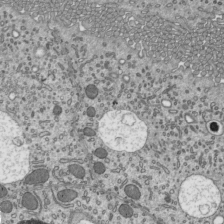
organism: Mouse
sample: Mouse epididymis efferent ductule cilia